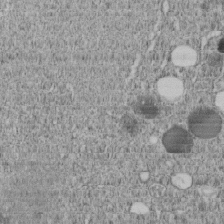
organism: C. elegans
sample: C. elegans embryo early stage